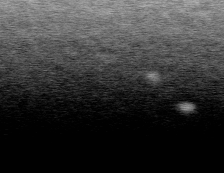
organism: Human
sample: HeLa cells